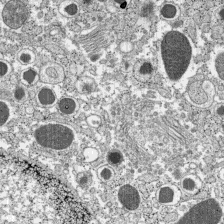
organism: C57BL Mouse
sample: Pancreatic islet